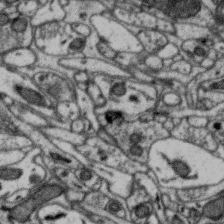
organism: Zebra finch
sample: Brain